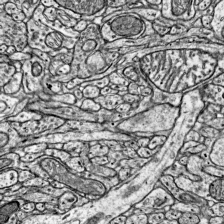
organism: Mouse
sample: Visual Cortex